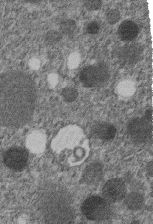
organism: C. elegans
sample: C. elegans embryo early stage